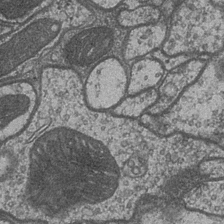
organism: Drosophila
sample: Optic medulla